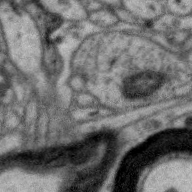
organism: Zebra finch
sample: Brain